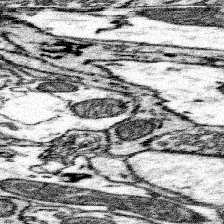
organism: Mouse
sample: Somatosensory cortex neuropil